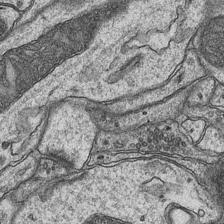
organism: Mouse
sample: CA1 Hippocampus